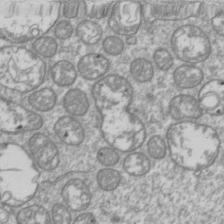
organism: Drosophila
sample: Cell division; meiosis; drosophila spermatocytes